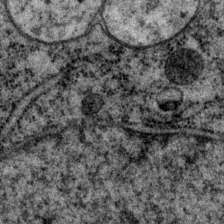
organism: P. pacificus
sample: Pharynx